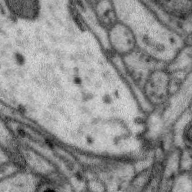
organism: Zebra finch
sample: Brain